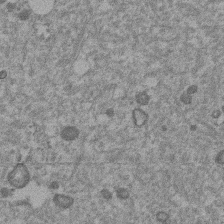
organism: Mouse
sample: Dividing mouse embryo 1 cell stage